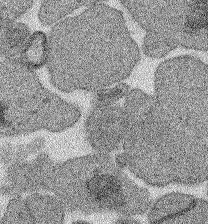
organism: Human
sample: HeLa cells